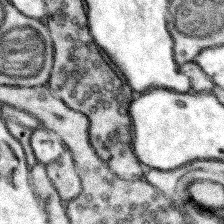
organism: Mouse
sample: Somatosensory cortex neuropil